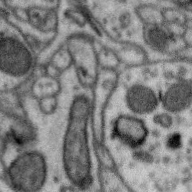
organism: Zebra finch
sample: Brain